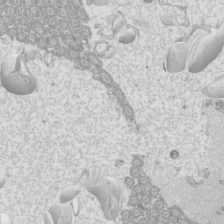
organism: Mouse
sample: Cilia; mouse epididymis